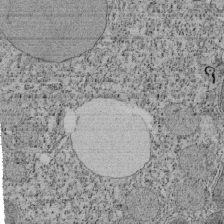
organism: Tetrahymena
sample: Cilia in tetrahymena